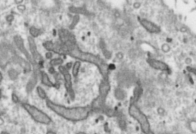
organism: Toxoplasma gondii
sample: Parasites in a vacuole inside a host cell